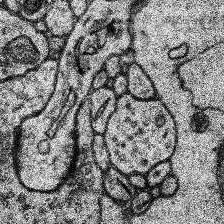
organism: Human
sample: Temporal Lobe